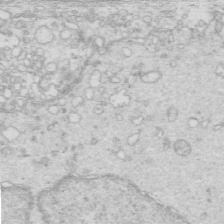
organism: Mouse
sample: Multiciliated cells